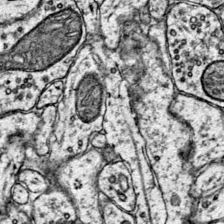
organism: Mouse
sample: Primary visual cortex